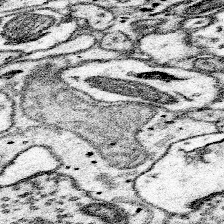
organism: Mouse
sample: Somatosensory cortex neuropil